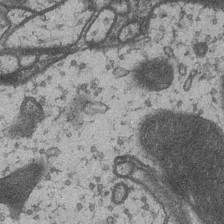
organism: Drosophila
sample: Optic medulla